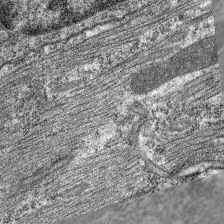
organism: C. elegans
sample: Pharynx